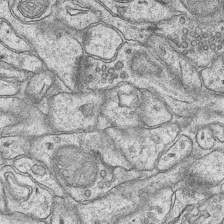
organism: Mouse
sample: CA1 Hippocampus